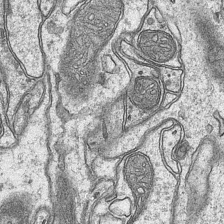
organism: Mouse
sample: CA1 Hippocampus